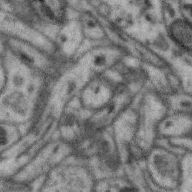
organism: Zebra finch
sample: Brain